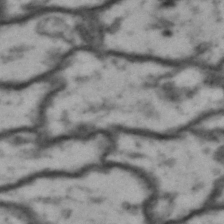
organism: Drosophila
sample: Brain